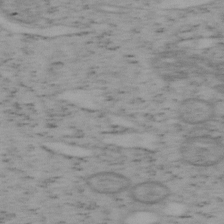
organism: Mouse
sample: OT-I killer T cells with ID8 ovarian cancer cells